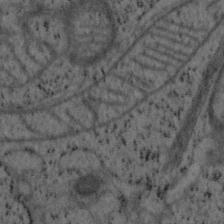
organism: Human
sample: HeLa cells